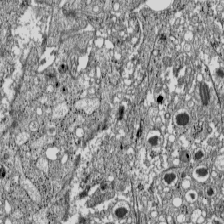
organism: C57BL Mouse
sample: Pancreatic islet